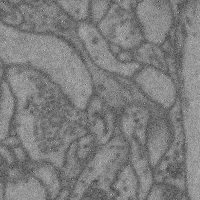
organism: Mouse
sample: Cerebral cortex